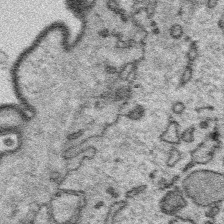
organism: Platynereis dumerilii